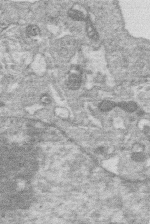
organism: Human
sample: Macrophage cells